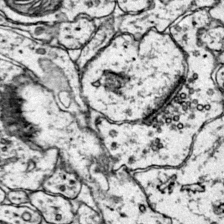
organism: Mouse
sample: Primary visual cortex